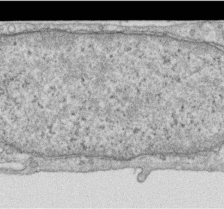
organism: Human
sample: Centriole in RPE cells